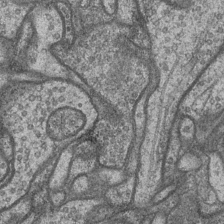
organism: Drosophila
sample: Optic medulla